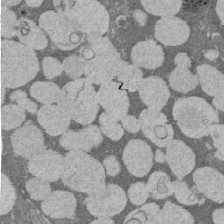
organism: Rat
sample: Salivary granule